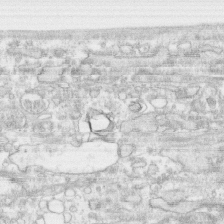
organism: Human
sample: CRL-1474